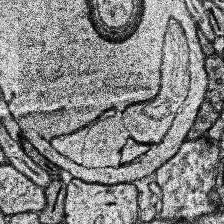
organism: Human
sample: Temporal Lobe